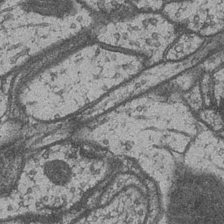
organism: Drosophila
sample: Optic medulla